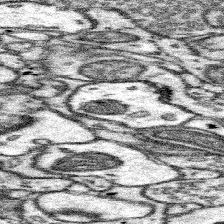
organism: Mouse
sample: Somatosensory cortex neuropil